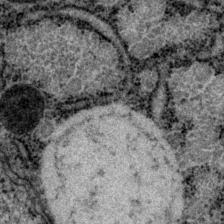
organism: P. pacificus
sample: Pharynx